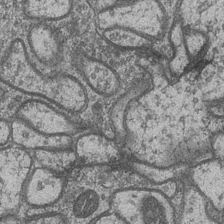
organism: Drosophila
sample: Optic medulla